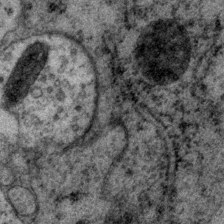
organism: P. pacificus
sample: Pharynx